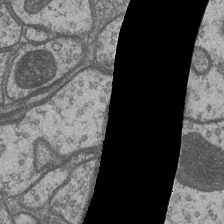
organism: Drosophila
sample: Optic medulla